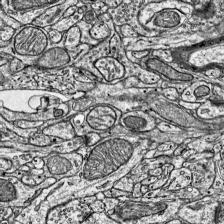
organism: Mouse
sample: Visual Cortex